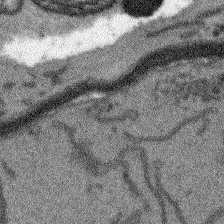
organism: Arabidopsis thaliana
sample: Root tip